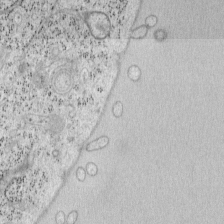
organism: Mouse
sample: OT-I killer T cells with ID8 ovarian cancer cells